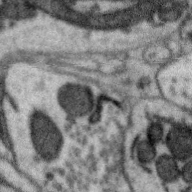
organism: Zebra finch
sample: Brain